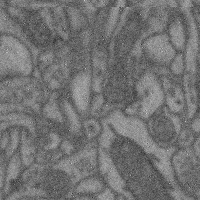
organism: Mouse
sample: Cerebral cortex